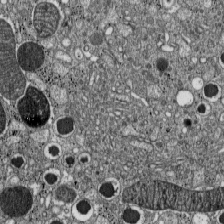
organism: C57BL Mouse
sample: Pancreatic islet